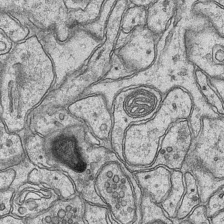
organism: Mouse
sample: CA1 Hippocampus